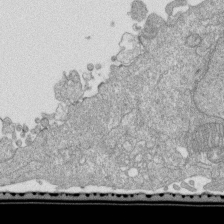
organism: Human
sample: HeLa cell HIV synapse